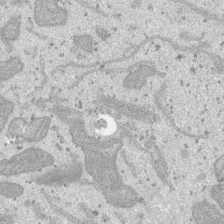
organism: Human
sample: Lung epithelial cells infected with SARS-CoV-2